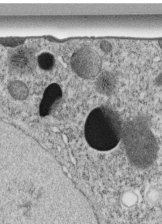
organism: C. elegans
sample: C. elegans embryo early stage